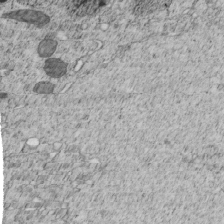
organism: C. elegans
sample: C. elegans embryo early stage